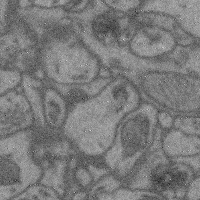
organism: Mouse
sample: Cerebral cortex